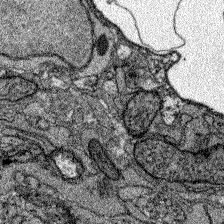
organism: Zebrafish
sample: Larval olfactory bulb